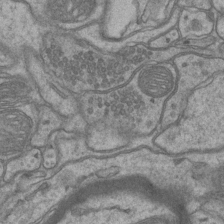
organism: Mouse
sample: CA1 Hippocampus